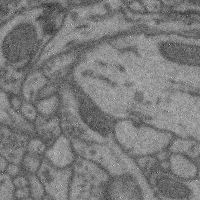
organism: Mouse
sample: Cerebral cortex